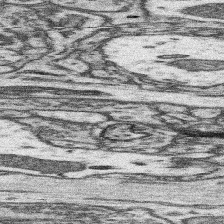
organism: Mouse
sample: Somatosensory cortex neuropil